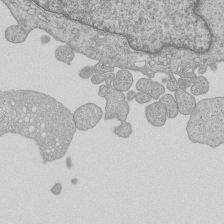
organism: Human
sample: MDA-MB-231 cells